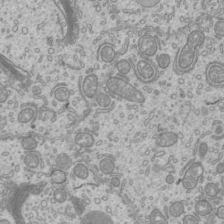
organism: Mouse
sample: Cilia; mouse epididymis